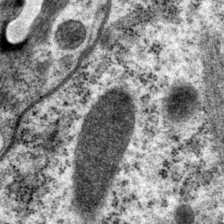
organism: P. pacificus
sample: Pharynx